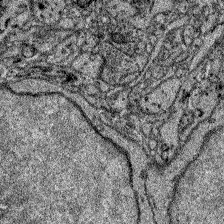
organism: Zebrafish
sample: Larval olfactory bulb